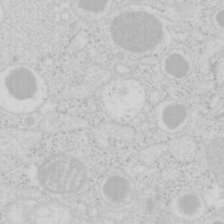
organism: Mouse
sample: Pancreas